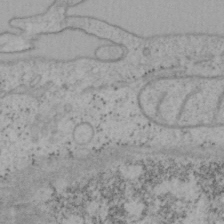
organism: Human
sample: HeLa cells